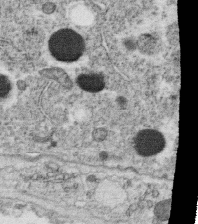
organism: C. elegans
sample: C. elegans oocyte; sperm cells